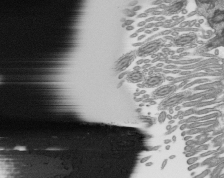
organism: Mouse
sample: Mouse epididymis efferent ductule cilia